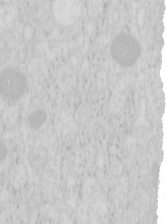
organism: Mouse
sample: Pancreas